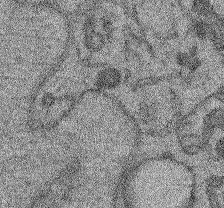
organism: Human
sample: HeLa cells